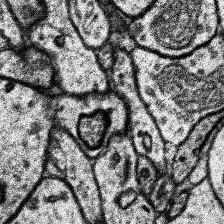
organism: Human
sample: Temporal Lobe